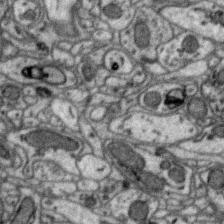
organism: Zebra finch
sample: Brain